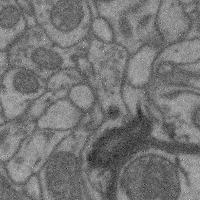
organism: Mouse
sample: Cerebral cortex